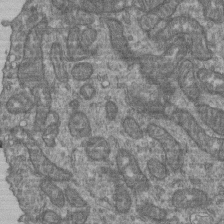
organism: Human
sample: Retinal organoid Rod and Cone cells